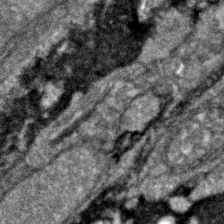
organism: Zebrafish